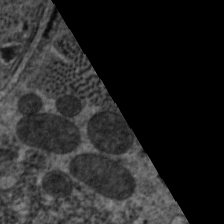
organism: C. elegans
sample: Pharynx